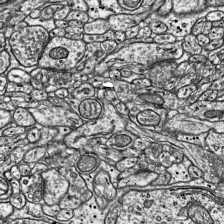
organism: Mouse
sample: Visual Cortex